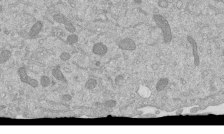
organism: Mouse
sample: ED-1 cell nuclei; centrioles